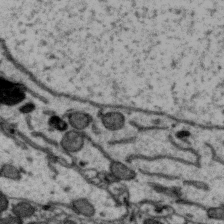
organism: Zebra finch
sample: Brain